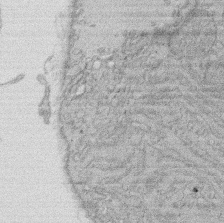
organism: Rat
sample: Salivary granule